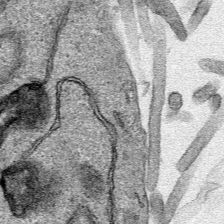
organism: Human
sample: Mitochondria in HCT116 cells